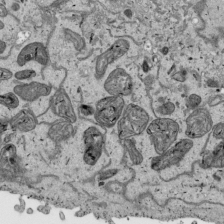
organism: Human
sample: Mitochondria in HCT116 cells